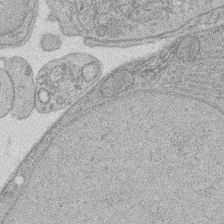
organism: Rat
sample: Salivary granule